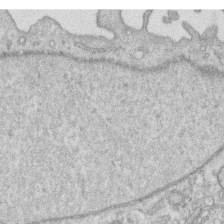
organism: Human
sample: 1205lu cells